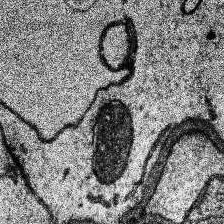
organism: Human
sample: Temporal Lobe